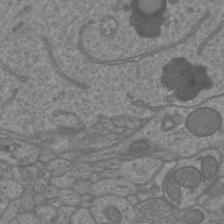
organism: Mouse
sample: Cortical neurons